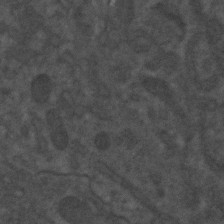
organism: C. elegans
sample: C. elegans embryo